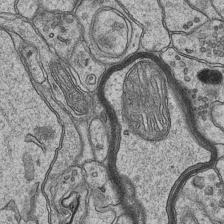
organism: Mouse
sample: CA1 Hippocampus